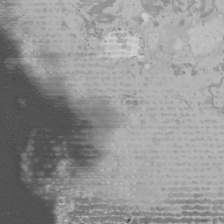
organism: Mouse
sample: Cancer cell death in ED-1 cells